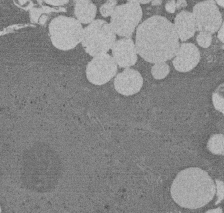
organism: Rat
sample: Salivary granule